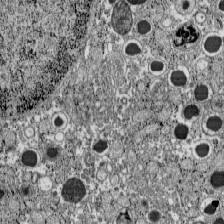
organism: C57BL Mouse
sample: Pancreatic islet